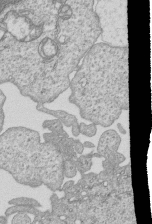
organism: Human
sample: MDA-MB-231 cells